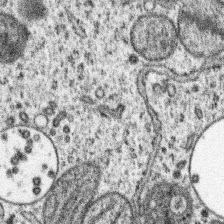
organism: Human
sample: HeLa cells